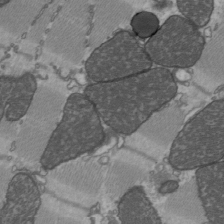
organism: C57BL Mouse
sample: Heart